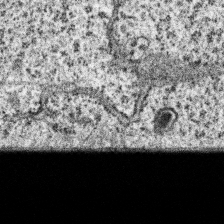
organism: Human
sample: HeLa cells